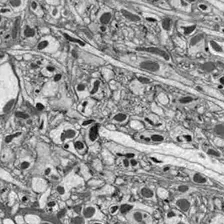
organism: Drosophila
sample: Optic lobe